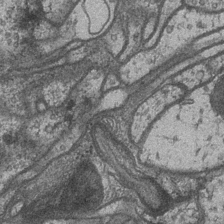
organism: Drosophila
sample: Optic medulla